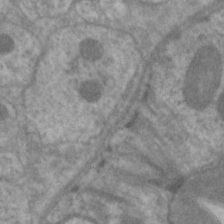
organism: C. elegans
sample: Pharynx